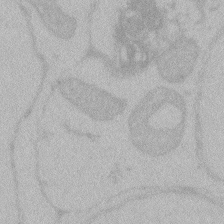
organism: Zebrafish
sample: Macrophage infected with Toxoplasma gondii